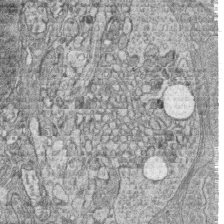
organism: Zebrafish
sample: synaptic ribbons in rod cells and cone cells